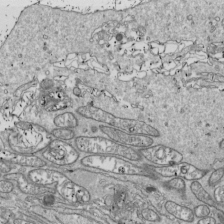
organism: Drosophila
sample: Cell division; meiosis; drosophila spermatocytes